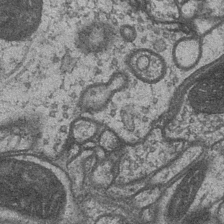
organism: Drosophila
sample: Optic medulla